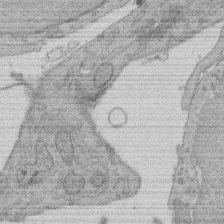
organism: Rat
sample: Salivary granule